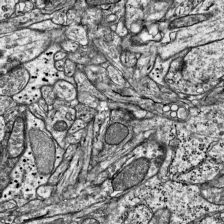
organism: Mouse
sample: Visual Cortex